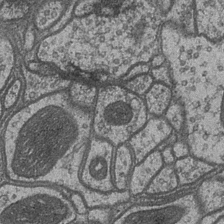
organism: Drosophila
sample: Optic medulla